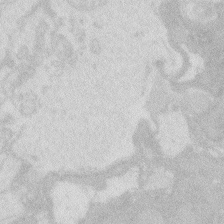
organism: Zebrafish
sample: Macrophage